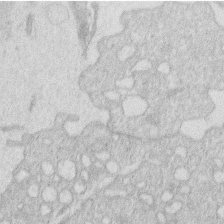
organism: Human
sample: Macrophage cells